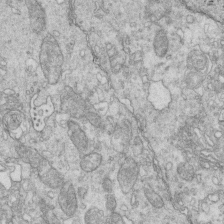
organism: Mouse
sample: Multiciliated cells